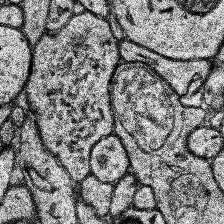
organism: Human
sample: Temporal Lobe